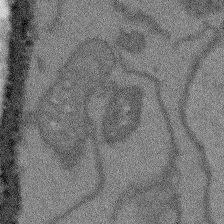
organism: Arabidopsis thaliana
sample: Root tip